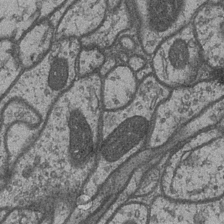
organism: Drosophila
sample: Optic medulla